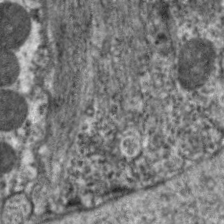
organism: C. elegans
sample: Pharynx